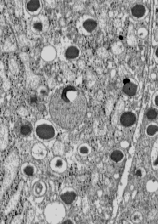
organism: C57BL Mouse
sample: Pancreatic islet